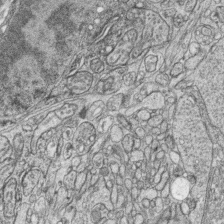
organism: Zebrafish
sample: synaptic ribbons in rod cells and cone cells